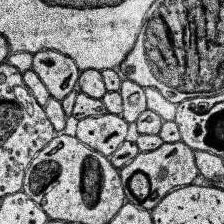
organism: Human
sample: Temporal Lobe